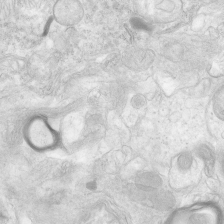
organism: Human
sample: Neocortex